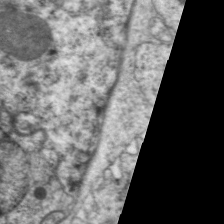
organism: C. elegans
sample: Pharynx